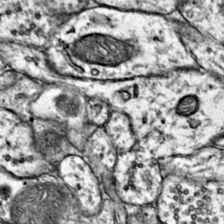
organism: Mouse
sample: Primary visual cortex